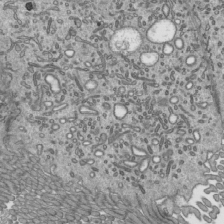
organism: Mouse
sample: Mouse epididymis efferent ductule cilia